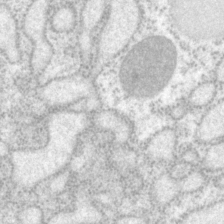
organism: P. pacificus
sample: Pharynx